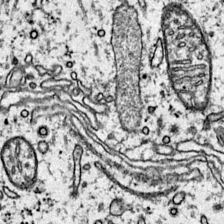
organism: Mouse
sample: Primary visual cortex